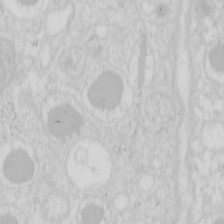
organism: Mouse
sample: Pancreas